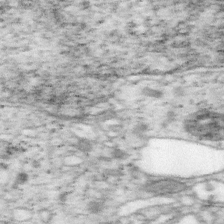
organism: Mouse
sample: OT-I killer T cells with ID8 ovarian cancer cells